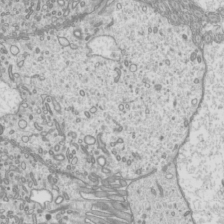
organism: Mouse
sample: Cilia; mouse epididymis